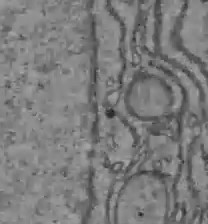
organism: C57BL Mouse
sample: Liver